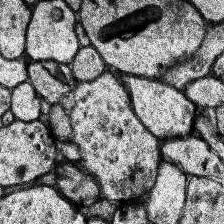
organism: Human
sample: Temporal Lobe